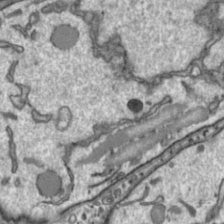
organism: Toxoplasma gondii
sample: Parasites in a vacuole inside a host cell